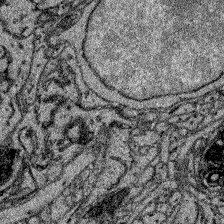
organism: Zebrafish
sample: Larval olfactory bulb